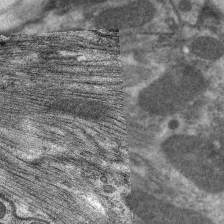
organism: C. elegans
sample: Pharynx